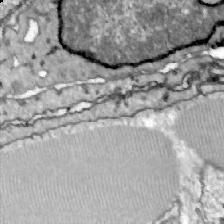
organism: Zebrafish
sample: Actinotrichia fibers